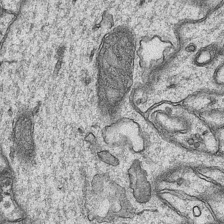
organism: Mouse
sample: CA1 Hippocampus